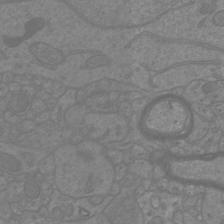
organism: Mouse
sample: Cortical neurons